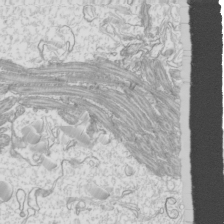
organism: Mouse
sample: Cilia; mouse epididymis